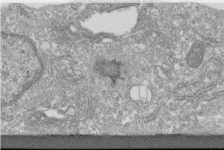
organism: Human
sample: Centriole in fibroblast cells